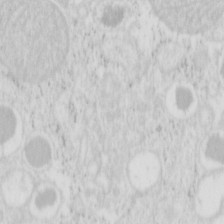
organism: Mouse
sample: Pancreas